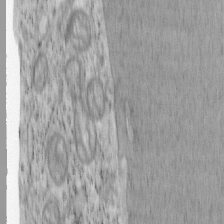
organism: Human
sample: HeLa cells